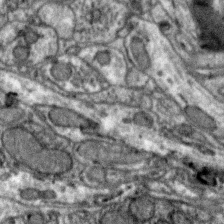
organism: Zebra finch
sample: Brain